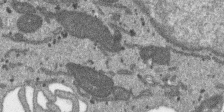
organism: Human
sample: Lung epithelial cells infected with SARS-CoV-2